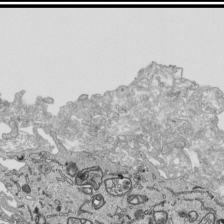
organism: Human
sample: Mitochondria in HCT116 cells